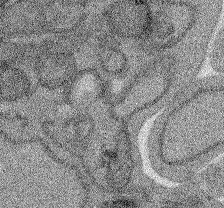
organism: Human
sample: HeLa cells